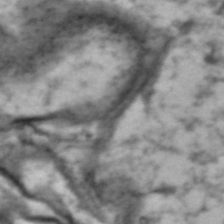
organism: Drosophila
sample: Brain